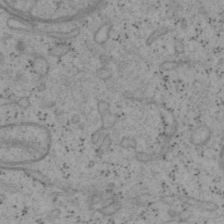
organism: Human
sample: HeLa cells